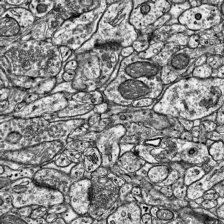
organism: Mouse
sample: Visual Cortex